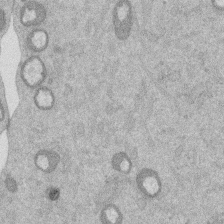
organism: Mouse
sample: Dividing mouse embryo 1 cell stage